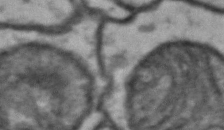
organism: Drosophila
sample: Brain